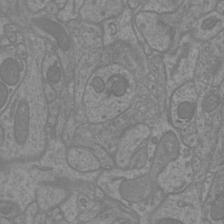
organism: Mouse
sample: Cortical neurons